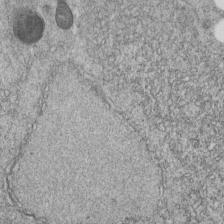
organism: C. elegans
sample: C. elegans embryo early stage